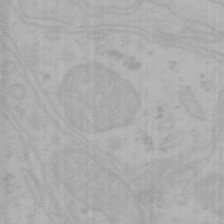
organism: Mouse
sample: Choroid plexus